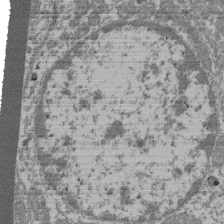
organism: Mouse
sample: Glomerulus